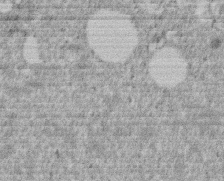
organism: Mouse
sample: Dividing mouse embryo 1 cell stage